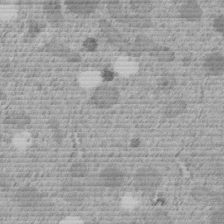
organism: C. elegans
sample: C. elegans embryo early stage